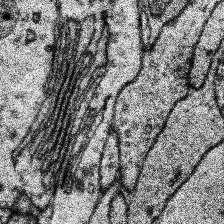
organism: Human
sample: Temporal Lobe